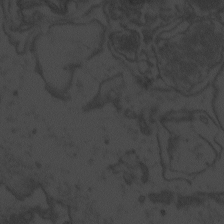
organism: Zebrafish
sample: Macrophage infected with Toxoplasma gondii